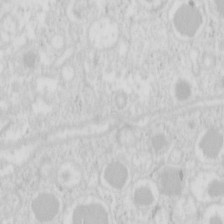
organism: Mouse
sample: Pancreas